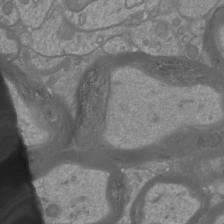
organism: Mouse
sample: Cortical neurons